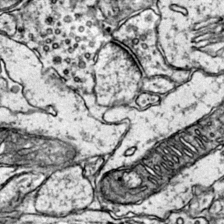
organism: Mouse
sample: Primary visual cortex